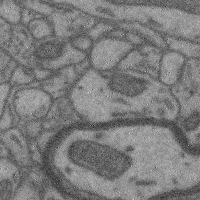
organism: Mouse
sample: Cerebral cortex